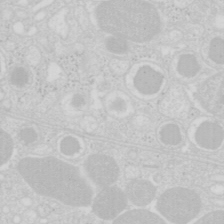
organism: Mouse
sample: Pancreas